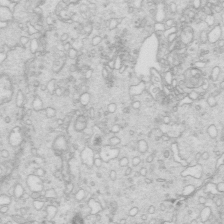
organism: Mouse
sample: Multiciliated cells